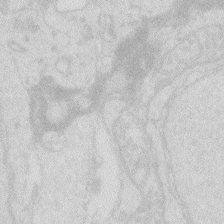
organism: Zebrafish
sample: Macrophage